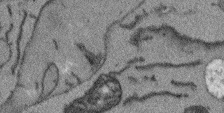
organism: Arabidopsis thaliana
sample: Root tip